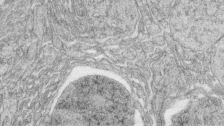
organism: Zebrafish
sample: synaptic ribbons in rod cells and cone cells